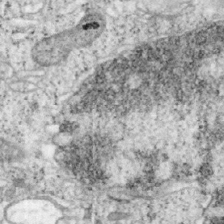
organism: Mouse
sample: OT-I killer T cells with ID8 ovarian cancer cells